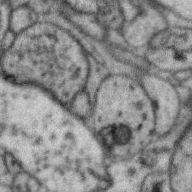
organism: Zebra finch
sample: Brain